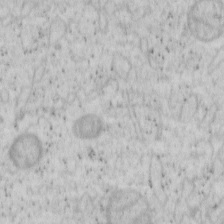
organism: Human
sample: HeLa cells